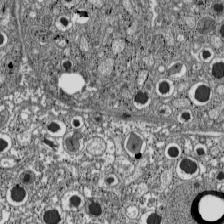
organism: C57BL Mouse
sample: Pancreatic islet